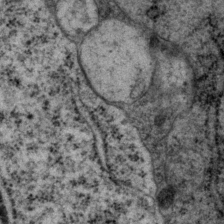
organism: P. pacificus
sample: Pharynx